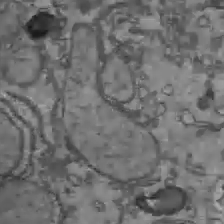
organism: C57BL Mouse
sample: Liver